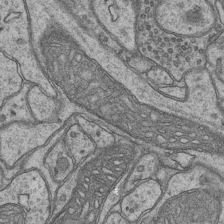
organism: Mouse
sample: CA1 Hippocampus